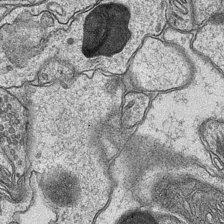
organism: Mouse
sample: CA1 Hippocampus